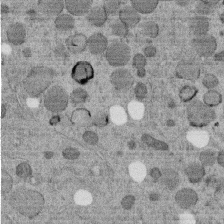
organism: C. elegans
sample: C. elegans embryo early stage